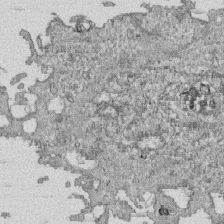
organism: Human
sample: HeLa cell HIV synapse